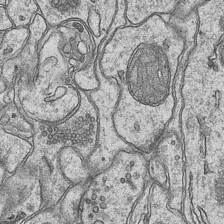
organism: Mouse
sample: CA1 Hippocampus